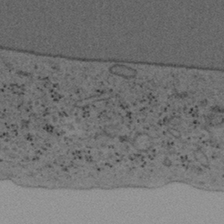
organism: Human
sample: HeLa cells